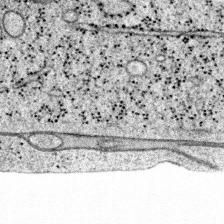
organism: Human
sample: HeLa cells